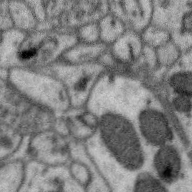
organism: Zebra finch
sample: Brain